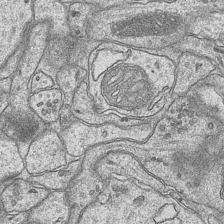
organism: Mouse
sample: CA1 Hippocampus